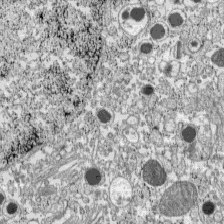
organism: C57BL Mouse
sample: Pancreatic islet